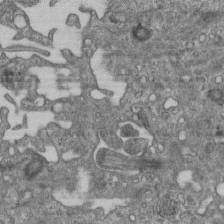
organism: Mouse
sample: Centriole in ependymal cells